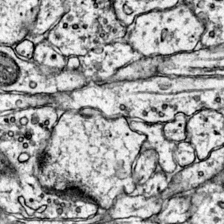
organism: Mouse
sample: Primary visual cortex